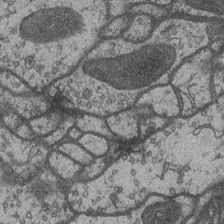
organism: Drosophila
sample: Optic medulla